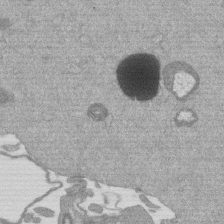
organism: Mouse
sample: Dividing mouse embryo 1 cell stage